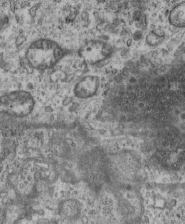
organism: Mouse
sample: Centriole in ependymal cells